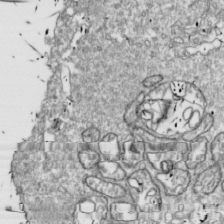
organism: Drosophila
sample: Cell division; meiosis; drosophila spermatocytes